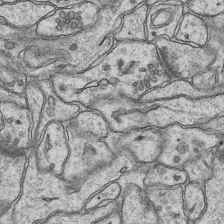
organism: Mouse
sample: CA1 Hippocampus